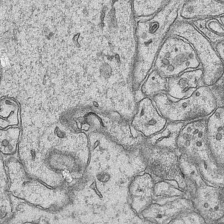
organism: Mouse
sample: CA1 Hippocampus